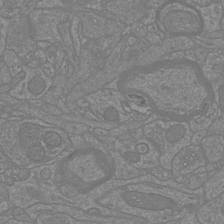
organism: Mouse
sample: Cortical neurons